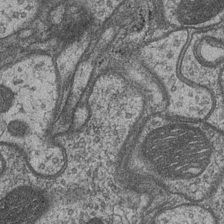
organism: Drosophila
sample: Optic medulla